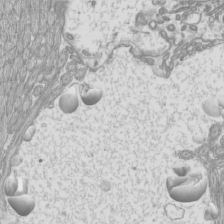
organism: Mouse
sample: Cilia; mouse epididymis